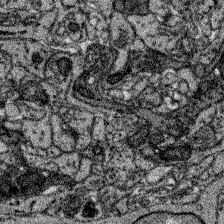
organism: Zebrafish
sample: Larval olfactory bulb